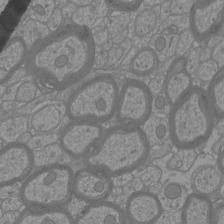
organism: Mouse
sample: Cortical neurons